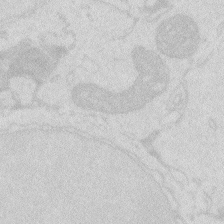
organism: Zebrafish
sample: Macrophage